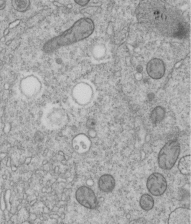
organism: C. elegans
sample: C. elegans embryo early stage